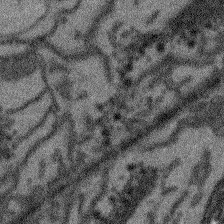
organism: Arabidopsis thaliana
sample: Root tip